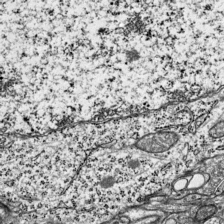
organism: Mouse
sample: Visual Cortex